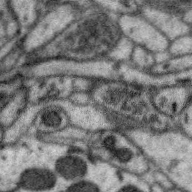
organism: Zebra finch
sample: Brain